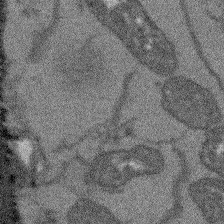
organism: Arabidopsis thaliana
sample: Root tip